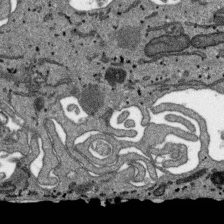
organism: Human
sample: Lung epithelial cells, uninfected (mock) control